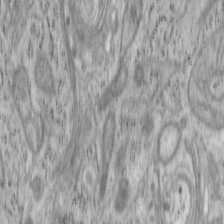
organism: Human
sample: HeLa cells